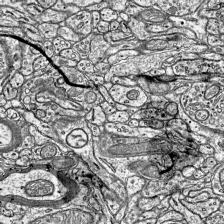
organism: Mouse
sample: Visual Cortex